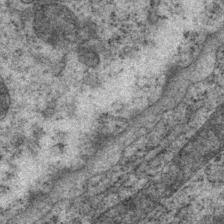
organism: P. pacificus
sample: Pharynx